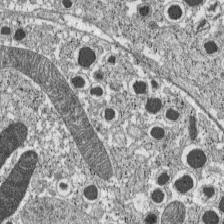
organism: C57BL Mouse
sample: Pancreatic islet